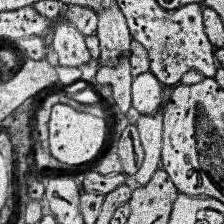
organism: Human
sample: Temporal Lobe